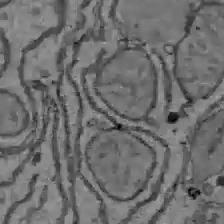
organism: C57BL Mouse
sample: Liver